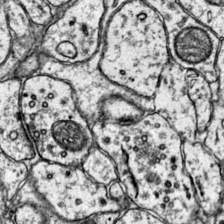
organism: Mouse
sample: Primary visual cortex